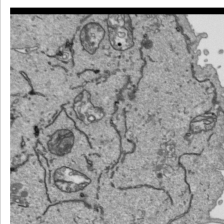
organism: Human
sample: Mitochondria in HCT116 cells